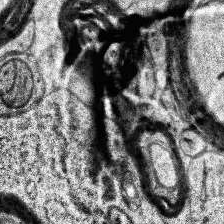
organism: Human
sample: Temporal Lobe